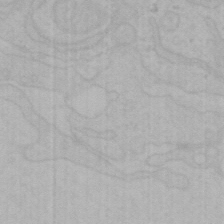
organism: Mouse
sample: Choroid plexus